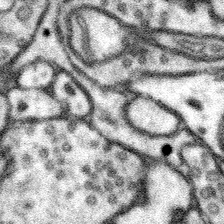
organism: Mouse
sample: Somatosensory cortex neuropil